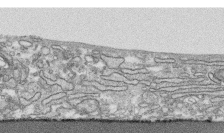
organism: Human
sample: CRL-1474